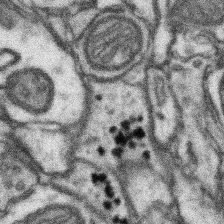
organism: Mouse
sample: Somatosensory cortex neuropil